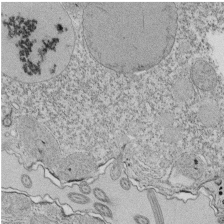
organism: Tetrahymena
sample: Cilia in tetrahymena